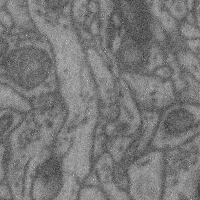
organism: Mouse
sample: Cerebral cortex